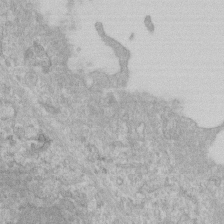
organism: Human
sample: Centriole in RPE cells